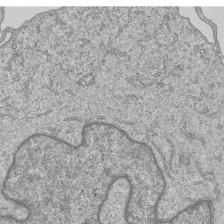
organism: Human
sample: MDA-MB-231 cells